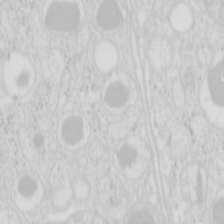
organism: Mouse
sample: Pancreas